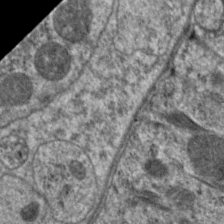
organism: C. elegans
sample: Pharynx